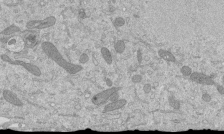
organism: Mouse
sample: ED-1 cell nuclei; centrioles